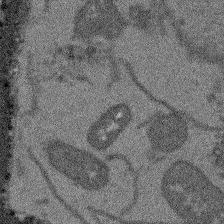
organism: Arabidopsis thaliana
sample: Root tip